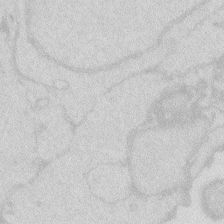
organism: Zebrafish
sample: Macrophage